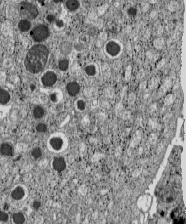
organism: C57BL Mouse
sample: Pancreatic islet